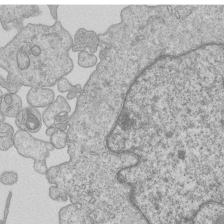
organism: Human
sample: MDA-MB-231 cells